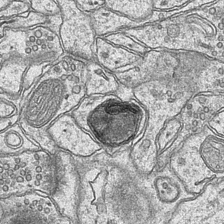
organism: Mouse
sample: CA1 Hippocampus